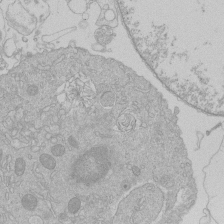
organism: Human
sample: Macrophage cells